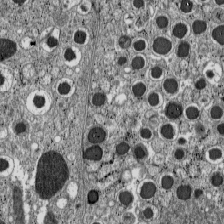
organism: C57BL Mouse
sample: Pancreatic islet